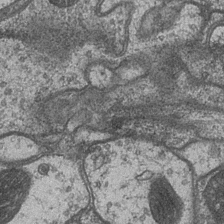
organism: Drosophila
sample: Optic medulla